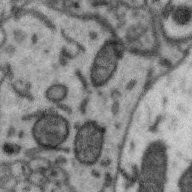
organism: Zebra finch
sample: Brain